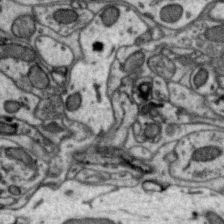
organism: Zebra finch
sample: Brain